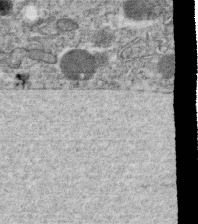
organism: C. elegans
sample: C. elegans oocyte; sperm cells